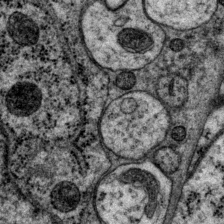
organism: P. pacificus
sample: Pharynx